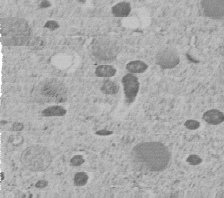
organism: C. elegans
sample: C. elegans embryo early stage